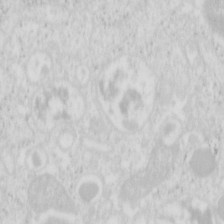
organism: Mouse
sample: Pancreas